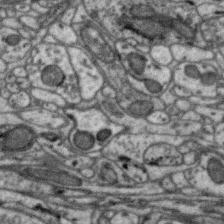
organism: Zebra finch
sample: Brain